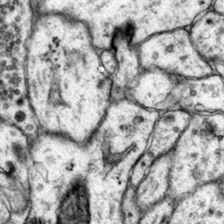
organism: Mouse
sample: Primary visual cortex